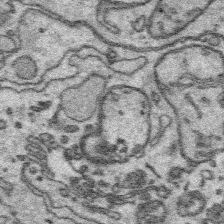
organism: Platynereis dumerilii